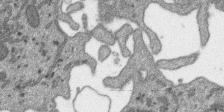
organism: Human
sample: Lung epithelial cells infected with SARS-CoV-2